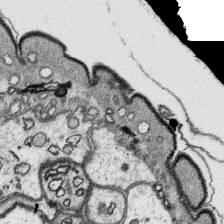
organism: Platynereis dumerilii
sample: Parapodia